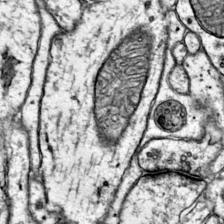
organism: Mouse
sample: Primary visual cortex